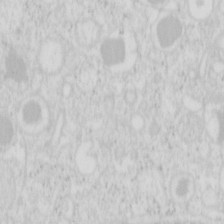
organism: Mouse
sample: Pancreas